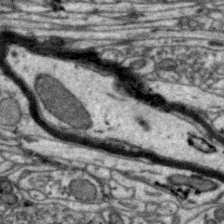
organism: Zebra finch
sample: Brain